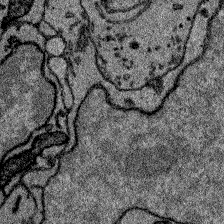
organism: Zebrafish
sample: Larval olfactory bulb